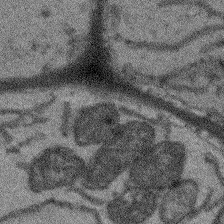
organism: Arabidopsis thaliana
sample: Root tip